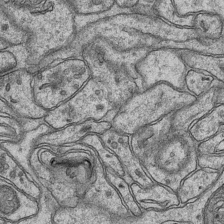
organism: Mouse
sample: CA1 Hippocampus